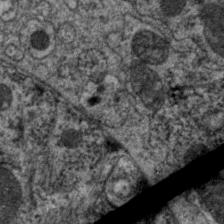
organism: C. elegans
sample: Pharynx